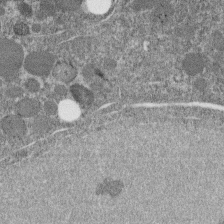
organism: C. elegans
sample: C. elegans embryo early stage